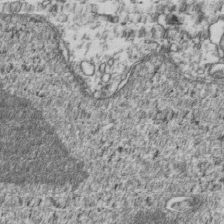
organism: Human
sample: Activated Jurkat CD4+ T cells